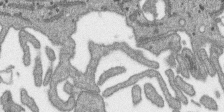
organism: Human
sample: Lung epithelial cells infected with SARS-CoV-2